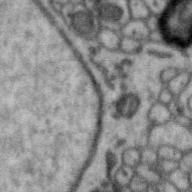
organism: Zebra finch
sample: Brain